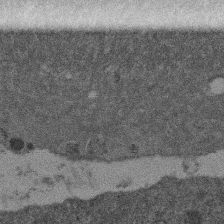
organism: Mouse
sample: Dividing mouse embryo 1 cell stage